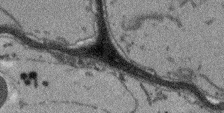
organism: Arabidopsis thaliana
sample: Root tip